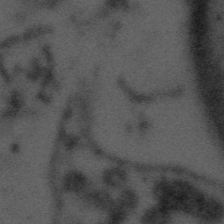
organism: Tuwongella immobilis